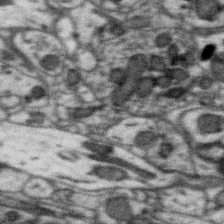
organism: Zebra finch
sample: Brain